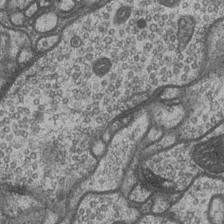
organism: Drosophila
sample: Optic medulla